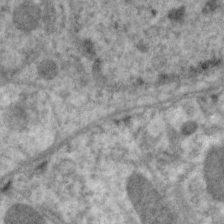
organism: C. elegans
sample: Pharynx